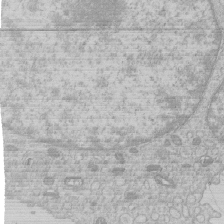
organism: Human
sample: Macrophage cells